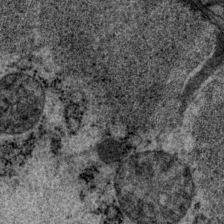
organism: P. pacificus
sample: Pharynx